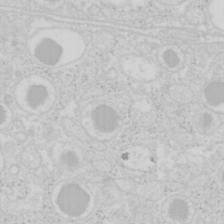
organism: Mouse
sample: Pancreas